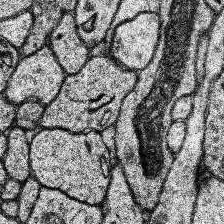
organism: Human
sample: Temporal Lobe